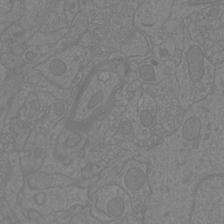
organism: Mouse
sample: Cortical neurons